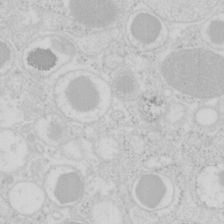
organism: Mouse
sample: Pancreas